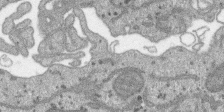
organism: Human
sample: Lung epithelial cells infected with SARS-CoV-2